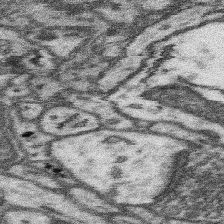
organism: Mouse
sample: Somatosensory cortex neuropil